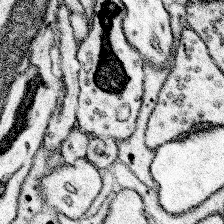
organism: Mouse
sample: Somatosensory cortex neuropil